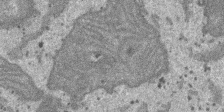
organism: Human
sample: Lung epithelial cells infected with SARS-CoV-2